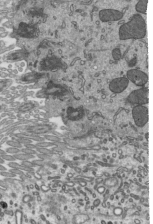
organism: Mouse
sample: Mouse epididymis efferent ductule cilia